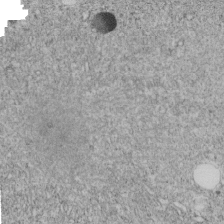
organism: C. elegans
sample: C. elegans embryo early stage